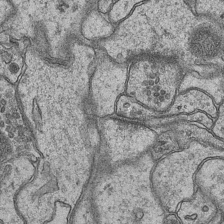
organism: Mouse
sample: CA1 Hippocampus